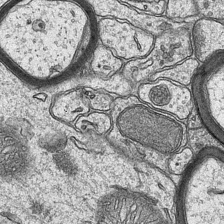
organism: Mouse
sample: CA1 Hippocampus